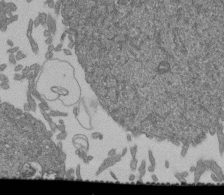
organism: Human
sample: Retinal organoid Rod and Cone cells